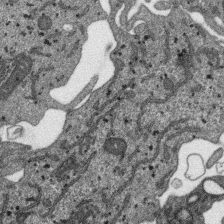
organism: Human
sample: Lung epithelial cells infected with SARS-CoV-2